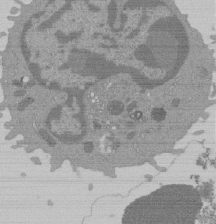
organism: Mouse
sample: Activated Pmel transgenic CD8+ T Cells